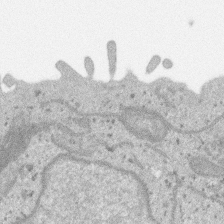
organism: Human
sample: Lung epithelial cells infected with SARS-CoV-2